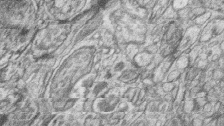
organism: Zebrafish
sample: synaptic ribbons in rod cells and cone cells